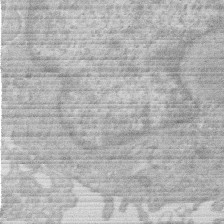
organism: Human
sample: Macrophage cells